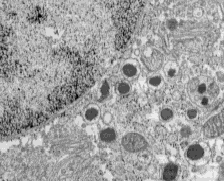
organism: C57BL Mouse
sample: Pancreatic islet